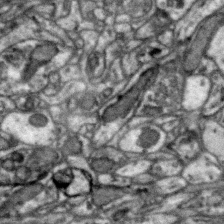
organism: Zebra finch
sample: Brain